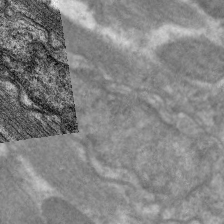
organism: C. elegans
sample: Pharynx